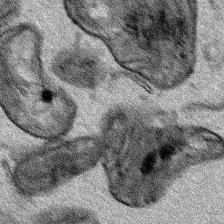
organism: Human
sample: Mitochondria in HCT116 cells